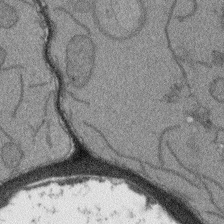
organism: Arabidopsis thaliana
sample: Root tip